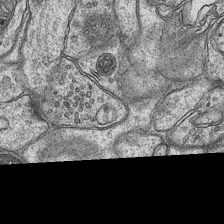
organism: Mouse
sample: CA1 Hippocampus